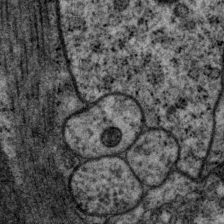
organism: P. pacificus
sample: Pharynx